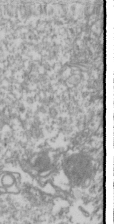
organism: Drosophila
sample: Cell division; meiosis; drosophila spermatocytes